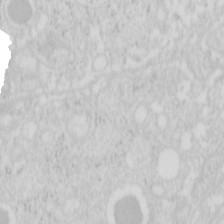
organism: Mouse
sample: Pancreas